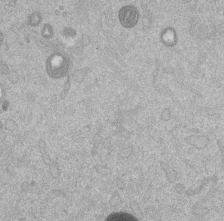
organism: Mouse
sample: Dividing mouse embryo 1 cell stage